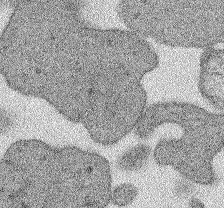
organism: Human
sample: HeLa cells